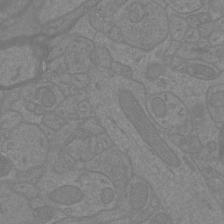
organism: Mouse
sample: Cortical neurons